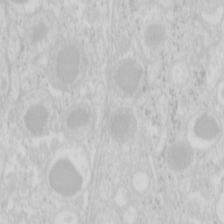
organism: Mouse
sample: Pancreas